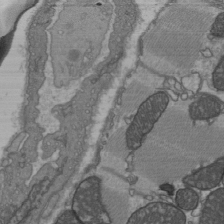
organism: C57BL Mouse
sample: Heart